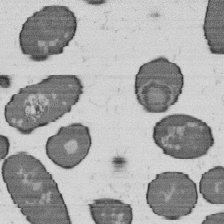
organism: B. subtilis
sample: Bacterial spore